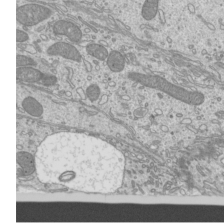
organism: Mouse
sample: Cilia; mouse epididymis